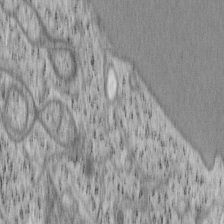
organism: Human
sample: HeLa cells